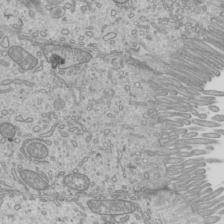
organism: Mouse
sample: Cilia; mouse epididymis